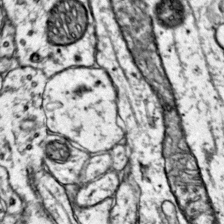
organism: Mouse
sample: Primary visual cortex